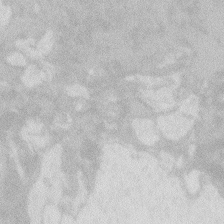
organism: Zebrafish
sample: Macrophage